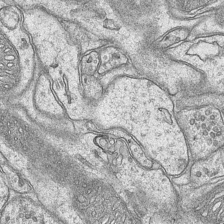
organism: Mouse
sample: CA1 Hippocampus